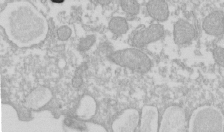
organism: Xenopus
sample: Cilia; centrioles in frog embryo cells